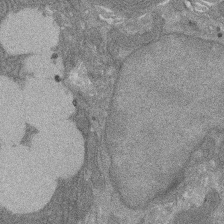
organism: Rat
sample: Salivary granule